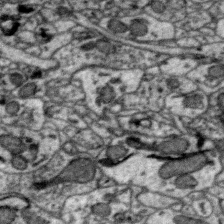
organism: Zebra finch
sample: Brain